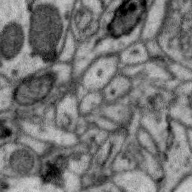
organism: Zebra finch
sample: Brain